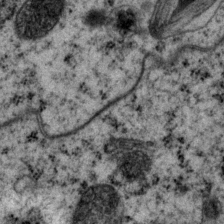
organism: P. pacificus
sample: Pharynx